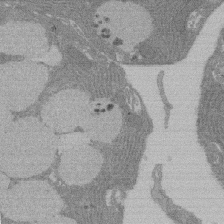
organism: Rat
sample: Salivary granule